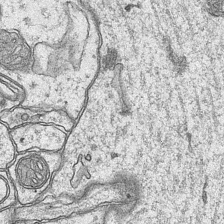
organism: Mouse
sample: CA1 Hippocampus